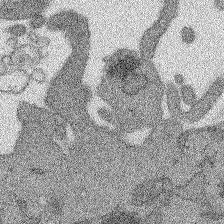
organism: Human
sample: HeLa cells